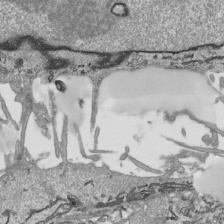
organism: Human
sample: Mitochondria in HCT116 cells